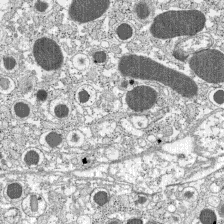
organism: C57BL Mouse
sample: Pancreatic islet